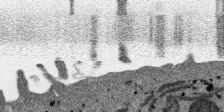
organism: Human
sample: Lung epithelial cells, uninfected (mock) control